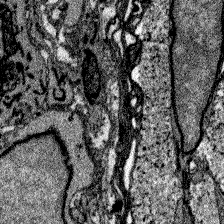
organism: Zebrafish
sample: Larval olfactory bulb